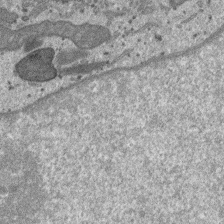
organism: Human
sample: Lung epithelial cells infected with SARS-CoV-2